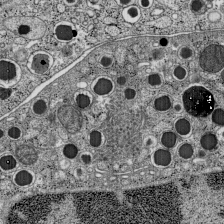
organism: C57BL Mouse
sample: Pancreatic islet